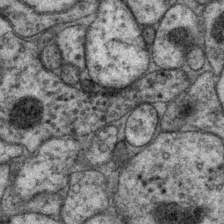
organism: P. pacificus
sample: Pharynx